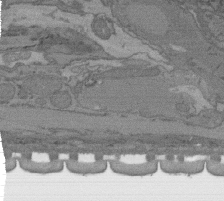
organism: C. elegans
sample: AFD neurons C. elegans